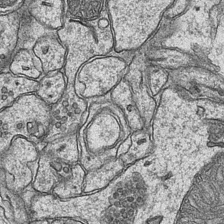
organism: Mouse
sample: CA1 Hippocampus